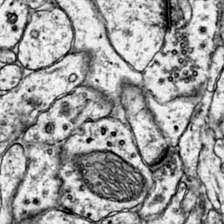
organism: Mouse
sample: Primary visual cortex